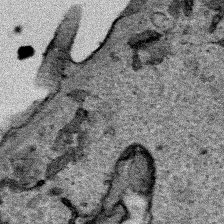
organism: Human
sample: Mitochondria in HCT116 cells